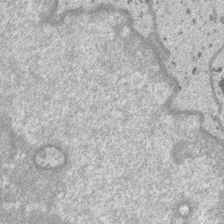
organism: Human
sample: Lung epithelial cells infected with SARS-CoV-2